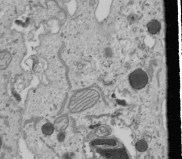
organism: Human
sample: Mitochondria in U2OS cells